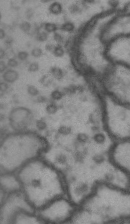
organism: Drosophila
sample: Brain